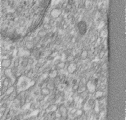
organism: Human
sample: Centriole in RPE cells